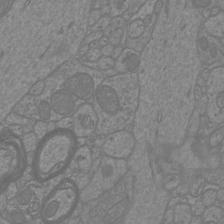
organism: Mouse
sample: Cortical neurons